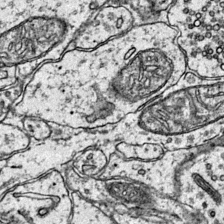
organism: Mouse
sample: Primary visual cortex